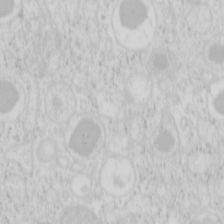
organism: Mouse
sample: Pancreas